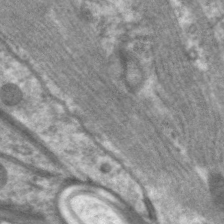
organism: C. elegans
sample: Pharynx